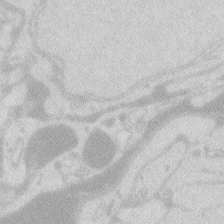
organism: Zebrafish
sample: Macrophage